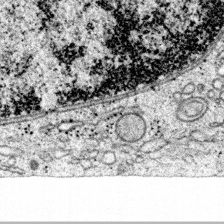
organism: Human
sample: HeLa cells